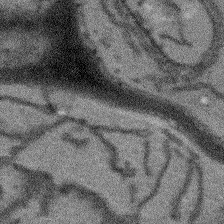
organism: Arabidopsis thaliana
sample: Root tip